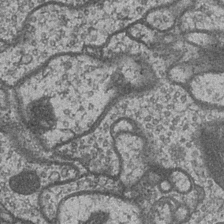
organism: Drosophila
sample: Optic medulla